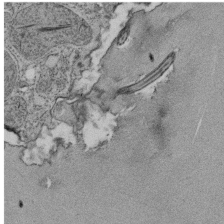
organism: Tetrahymena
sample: Cilia in tetrahymena